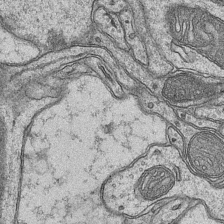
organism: Mouse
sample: CA1 Hippocampus